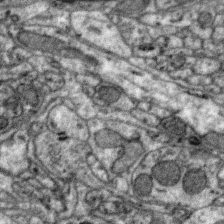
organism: Zebra finch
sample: Brain